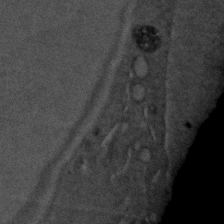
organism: C. elegans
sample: C. elegans embryo